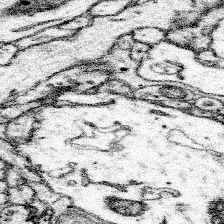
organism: Mouse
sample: Somatosensory cortex neuropil